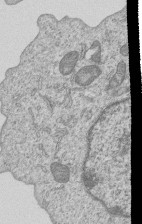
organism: Human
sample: MDA-MB-231 cells